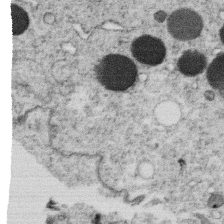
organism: C. elegans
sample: C. elegans oocyte; sperm cells